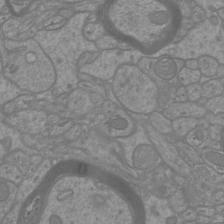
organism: Mouse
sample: Cortical neurons